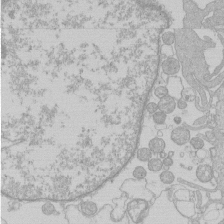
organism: Human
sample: Macrophage cells